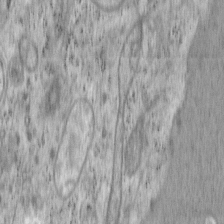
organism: Human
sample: HeLa cells